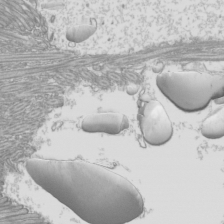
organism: Mouse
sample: Cilia; mouse epididymis